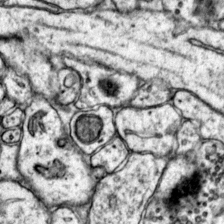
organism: Mouse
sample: Primary visual cortex